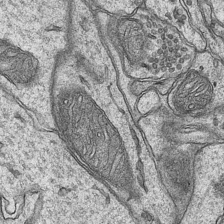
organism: Mouse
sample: CA1 Hippocampus